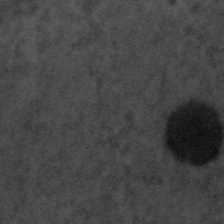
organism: Tuwongella immobilis